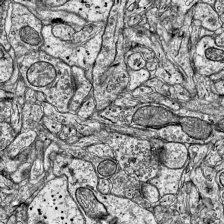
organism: Mouse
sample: Visual Cortex